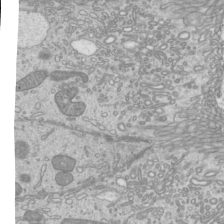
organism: Mouse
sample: Cilia; mouse epididymis